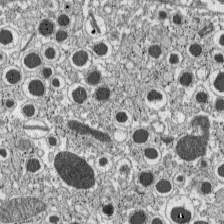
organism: C57BL Mouse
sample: Pancreatic islet